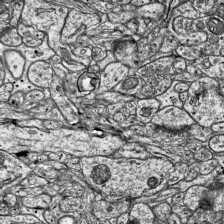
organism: Mouse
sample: Visual Cortex